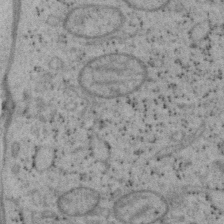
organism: Human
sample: HeLa cells